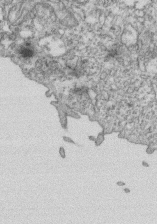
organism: Human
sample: HeLa cell HIV synapse